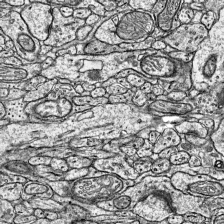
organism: Mouse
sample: Visual Cortex